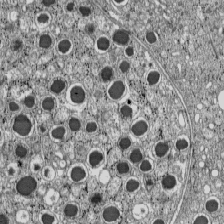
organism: C57BL Mouse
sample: Pancreatic islet